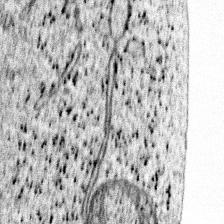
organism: Human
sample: HeLa cells